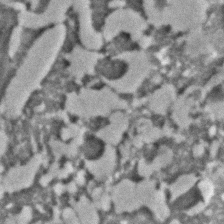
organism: C. elegans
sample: C. elegans embryo